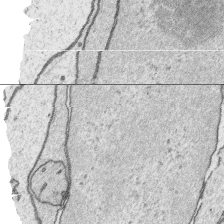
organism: Platynereis dumerilii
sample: Parapodia